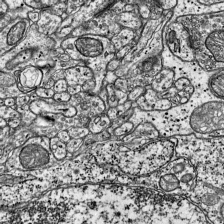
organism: Mouse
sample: Visual Cortex